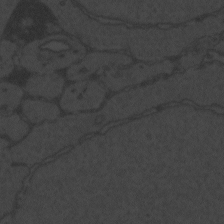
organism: Zebrafish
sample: Macrophage infected with Toxoplasma gondii